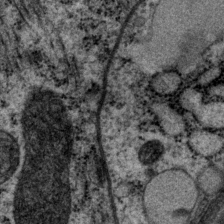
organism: P. pacificus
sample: Pharynx